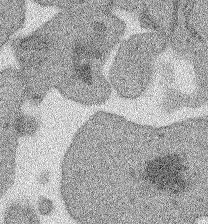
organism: Human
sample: HeLa cells